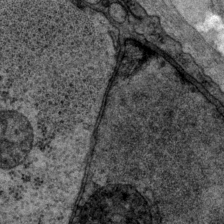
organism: P. pacificus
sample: Pharynx